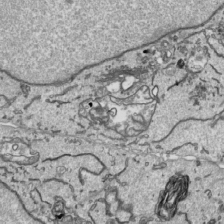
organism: Human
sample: Mitochondria in HCT116 cells